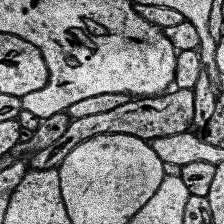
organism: Human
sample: Temporal Lobe